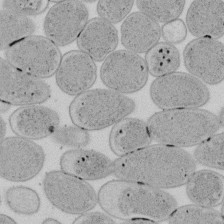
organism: E. coli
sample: Bacterial nucleoid